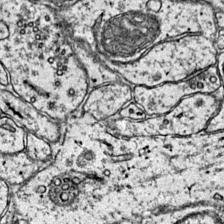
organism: Mouse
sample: Primary visual cortex